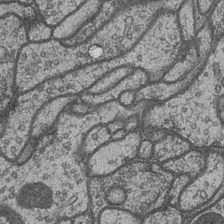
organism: Drosophila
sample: Optic medulla